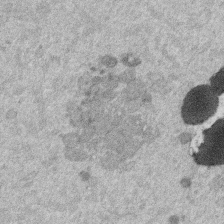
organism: Mouse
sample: Dividing mouse embryo 1 cell stage